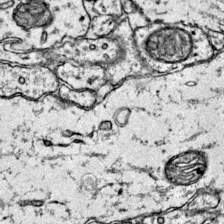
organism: Mouse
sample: Primary visual cortex